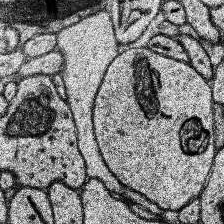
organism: Human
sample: Temporal Lobe